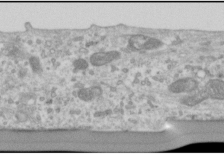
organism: Human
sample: Cilia; basal body in RPE cells